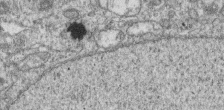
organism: Human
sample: HeLa cell HIV synapse